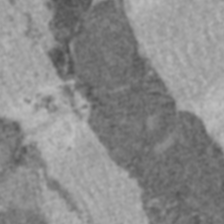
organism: C57BL Mouse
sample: Heart